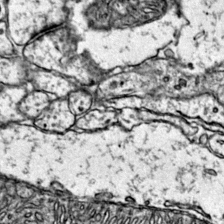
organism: Mouse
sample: Primary visual cortex